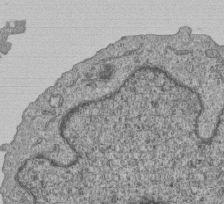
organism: Human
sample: MDA-MB-231 cells